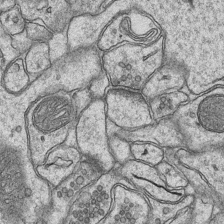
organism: Mouse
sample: CA1 Hippocampus